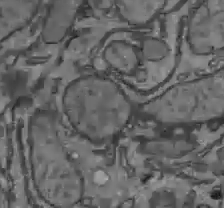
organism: C57BL Mouse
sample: Liver